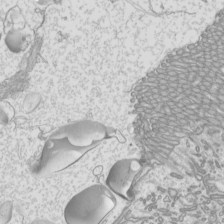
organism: Mouse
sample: Cilia; mouse epididymis